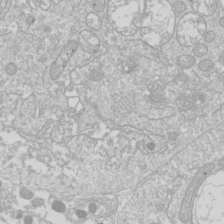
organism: Drosophila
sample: Cell division; meiosis; drosophila spermatocytes